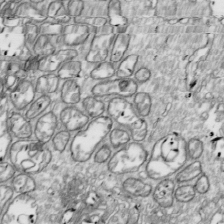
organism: Drosophila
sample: Cell division; meiosis; drosophila spermatocytes